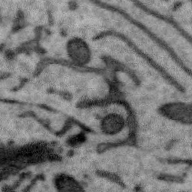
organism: Zebra finch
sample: Brain